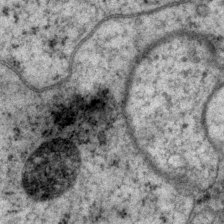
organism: P. pacificus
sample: Pharynx